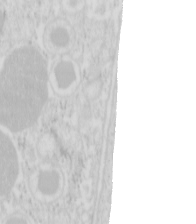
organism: Mouse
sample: Pancreas